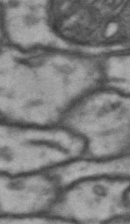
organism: Drosophila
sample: Brain